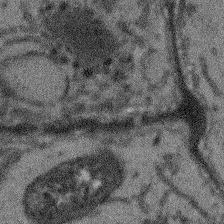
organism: Arabidopsis thaliana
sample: Root tip